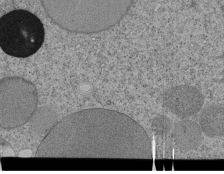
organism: Tetrahymena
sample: Cilia in tetrahymena